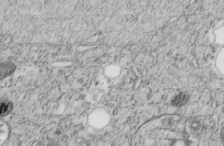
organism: C. elegans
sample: C. elegans embryo early stage